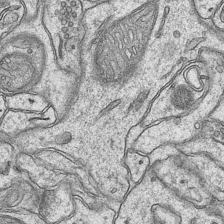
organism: Mouse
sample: CA1 Hippocampus